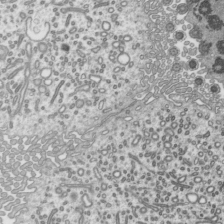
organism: Mouse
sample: Mouse epididymis efferent ductule cilia